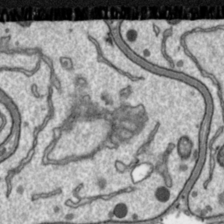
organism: Toxoplasma gondii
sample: Parasites in a vacuole inside a host cell